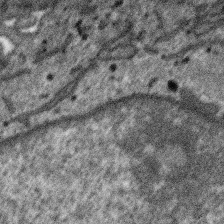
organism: Human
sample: Lung epithelial cells infected with SARS-CoV-2